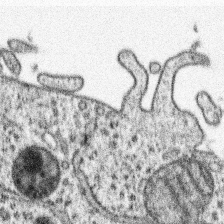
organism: Human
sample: HeLa cells